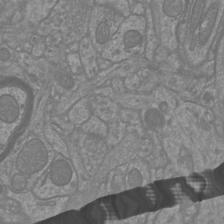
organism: Mouse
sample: Cortical neurons